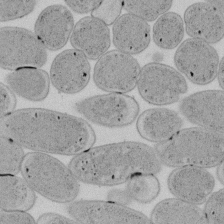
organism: E. coli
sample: Bacterial nucleoid